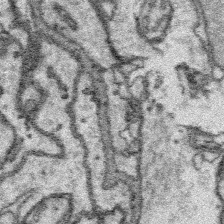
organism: Platynereis dumerilii